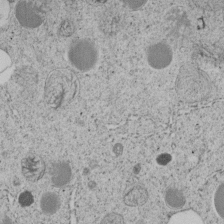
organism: C. elegans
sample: C. elegans embryo early stage